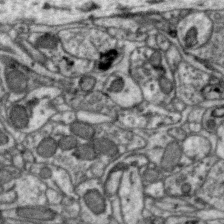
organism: Zebra finch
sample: Brain